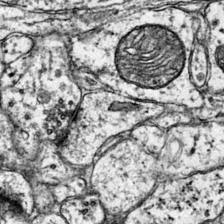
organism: Mouse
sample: Primary visual cortex